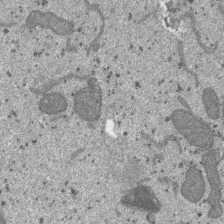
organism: Human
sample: Lung epithelial cells infected with SARS-CoV-2